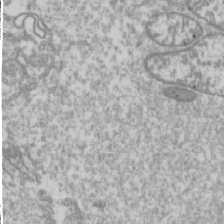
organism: Drosophila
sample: Cell division; meiosis; drosophila spermatocytes